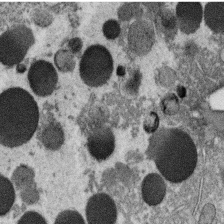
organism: C. elegans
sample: C. elegans oocyte; sperm cells